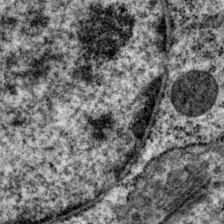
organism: P. pacificus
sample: Pharynx